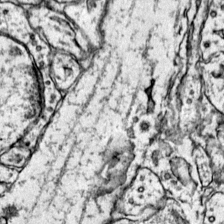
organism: Mouse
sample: Primary visual cortex